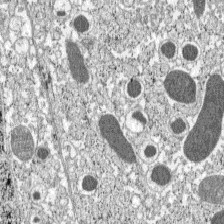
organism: C57BL Mouse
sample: Pancreatic islet